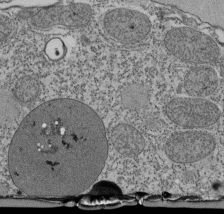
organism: Tetrahymena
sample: Cilia in tetrahymena